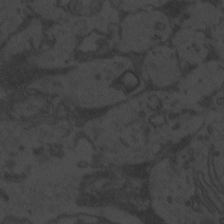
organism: Zebrafish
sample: Macrophage infected with Toxoplasma gondii